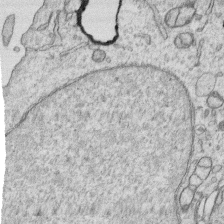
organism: Human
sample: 1205lu cells